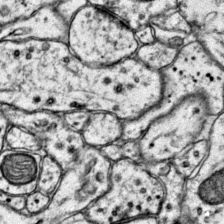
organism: Mouse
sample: Primary visual cortex